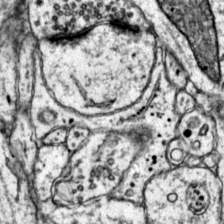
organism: Mouse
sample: Primary visual cortex